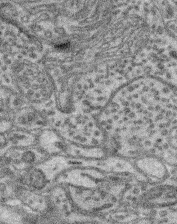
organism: Mouse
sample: Retina